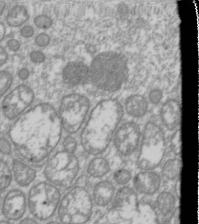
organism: Drosophila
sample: Cell division; meiosis; drosophila spermatocytes